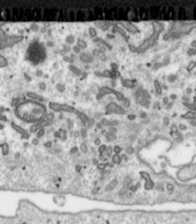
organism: Toxoplasma gondii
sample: Parasites in a vacuole inside a host cell